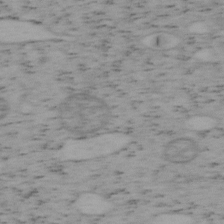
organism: Mouse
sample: OT-I killer T cells with ID8 ovarian cancer cells